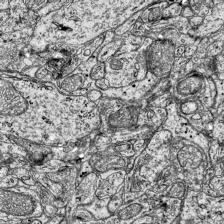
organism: Mouse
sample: Visual Cortex